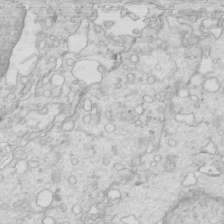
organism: Mouse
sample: Multiciliated cells